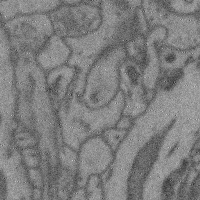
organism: Mouse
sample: Cerebral cortex